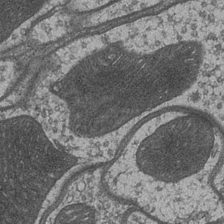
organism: Drosophila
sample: Optic medulla